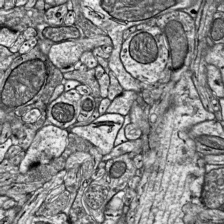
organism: Mouse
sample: Visual Cortex